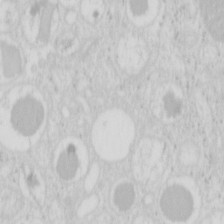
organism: Mouse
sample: Pancreas